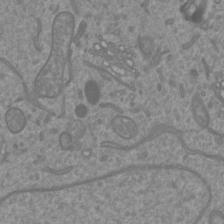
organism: Mouse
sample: Cortical neurons